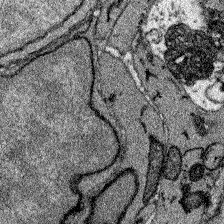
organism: Zebrafish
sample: Larval olfactory bulb